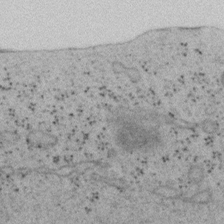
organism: Human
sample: HeLa cells